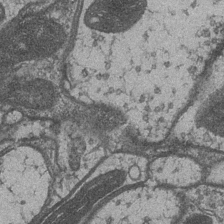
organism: Drosophila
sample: Optic medulla